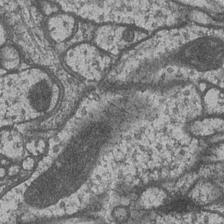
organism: Drosophila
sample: Optic medulla